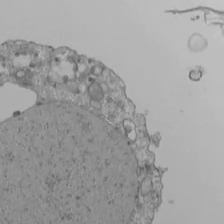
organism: Human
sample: Jurkat E6-1 and CD4 cells